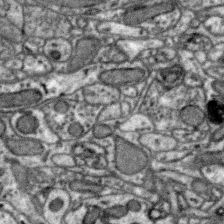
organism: Zebra finch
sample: Brain